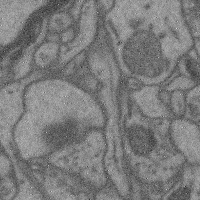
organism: Mouse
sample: Cerebral cortex